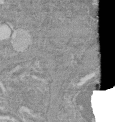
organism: Mouse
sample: Glomerulus